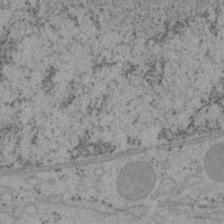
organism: Human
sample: HeLa cells